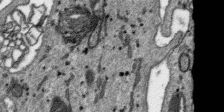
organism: Human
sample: Lung epithelial cells, uninfected (mock) control